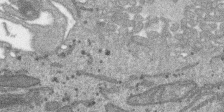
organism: Human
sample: Lung epithelial cells infected with SARS-CoV-2